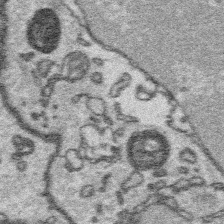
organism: Platynereis dumerilii